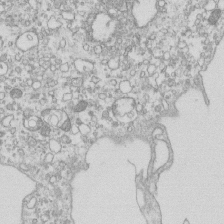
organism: Mouse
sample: Macrophages